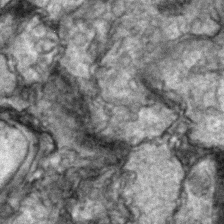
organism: Zebrafish